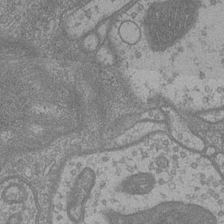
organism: Drosophila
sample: Optic medulla